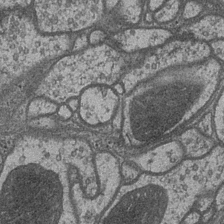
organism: Drosophila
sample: Optic medulla